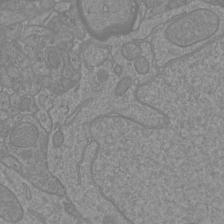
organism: Mouse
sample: Cortical neurons